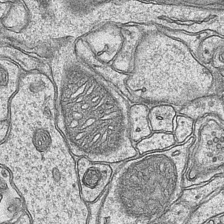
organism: Mouse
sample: CA1 Hippocampus